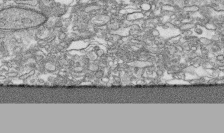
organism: Human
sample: CRL-1474